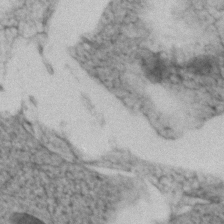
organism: Zebrafish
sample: Zebrafish embryo